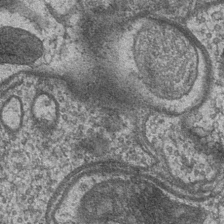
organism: Drosophila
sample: Optic medulla